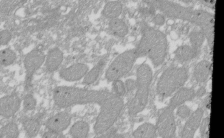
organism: Xenopus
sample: Cilia; centrioles in frog embryo cells